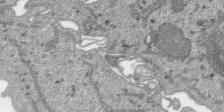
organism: Human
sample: Lung epithelial cells infected with SARS-CoV-2